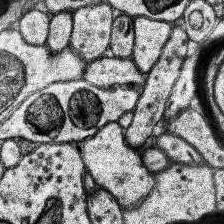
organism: Human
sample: Temporal Lobe